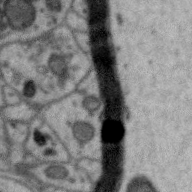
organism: Zebra finch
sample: Brain